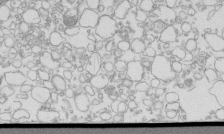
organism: Mouse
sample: Macrophages